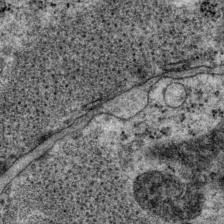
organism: P. pacificus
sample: Pharynx